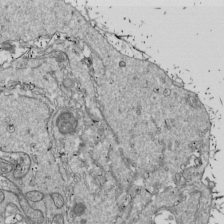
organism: Drosophila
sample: Cell division; meiosis; drosophila spermatocytes